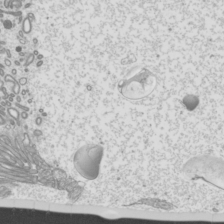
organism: Mouse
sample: Cilia; mouse epididymis